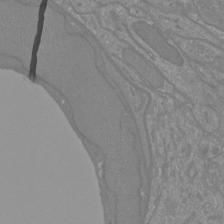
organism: Mouse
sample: Cortical neurons